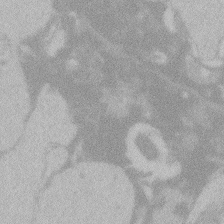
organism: Zebrafish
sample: Macrophage infected with Toxoplasma gondii